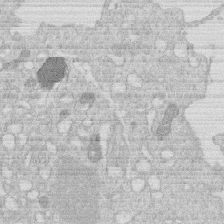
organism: Human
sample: Macrophage cells